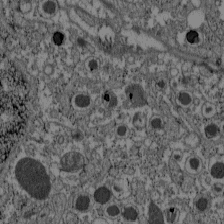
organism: C57BL Mouse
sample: Pancreatic islet